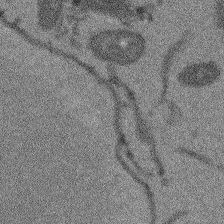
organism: Arabidopsis thaliana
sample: Root tip